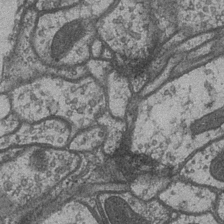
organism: Drosophila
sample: Optic medulla